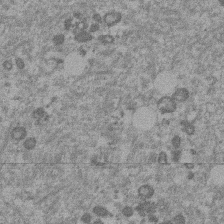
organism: Mouse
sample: Dividing mouse embryo 1 cell stage